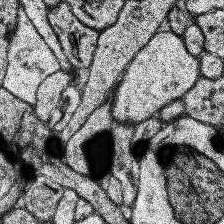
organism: Human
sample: Temporal Lobe